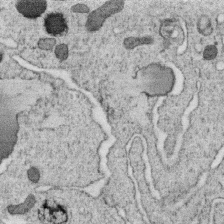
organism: C. elegans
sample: C. elegans oocyte; sperm cells